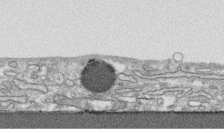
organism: Human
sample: CRL-1474